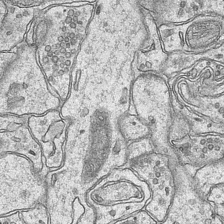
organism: Mouse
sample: CA1 Hippocampus